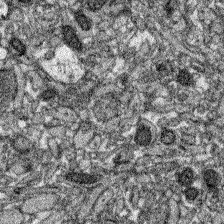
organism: Zebrafish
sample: Larval olfactory bulb